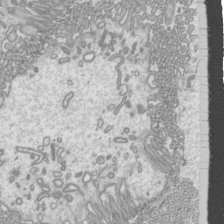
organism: Mouse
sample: Cilia; mouse epididymis